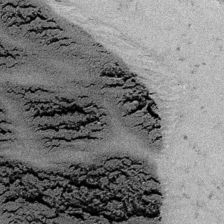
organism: Embia sp.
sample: Silk gland